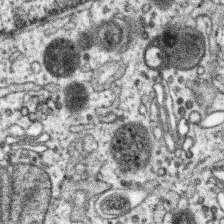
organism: Human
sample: HeLa cells